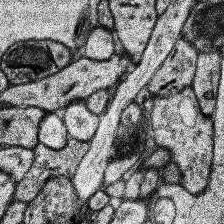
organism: Human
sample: Temporal Lobe